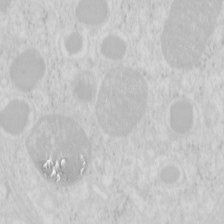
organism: Mouse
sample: Pancreas